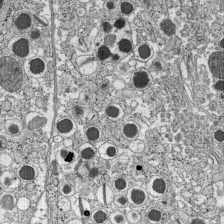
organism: C57BL Mouse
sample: Pancreatic islet